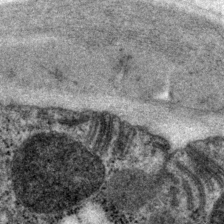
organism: P. pacificus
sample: Pharynx